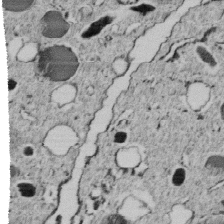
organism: C. elegans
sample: C. elegans embryo early stage